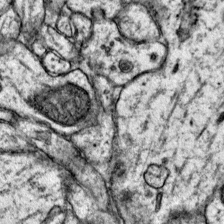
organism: Mouse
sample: Primary visual cortex